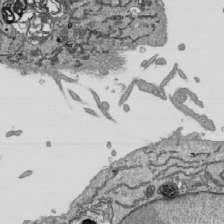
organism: Human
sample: Mitochondria in HCT116 cells